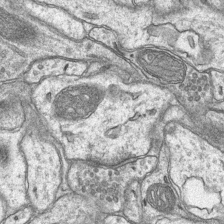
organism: Mouse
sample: CA1 Hippocampus